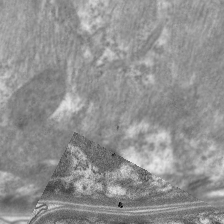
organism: C. elegans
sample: Pharynx